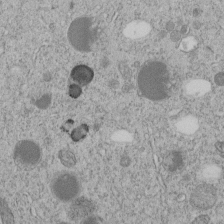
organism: C. elegans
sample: C. elegans embryo early stage